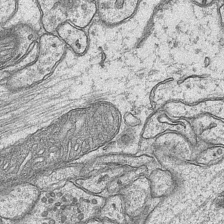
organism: Mouse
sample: CA1 Hippocampus